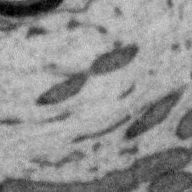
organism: Zebra finch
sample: Brain